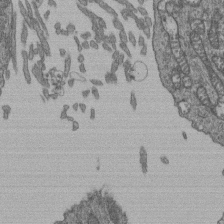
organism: Human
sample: Retinal organoid Rod and Cone cells